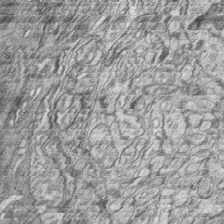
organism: Zebrafish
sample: synaptic ribbons in rod cells and cone cells